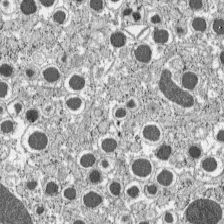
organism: C57BL Mouse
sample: Pancreatic islet